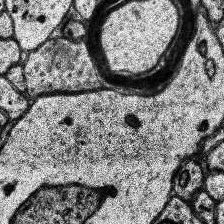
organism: Human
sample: Temporal Lobe